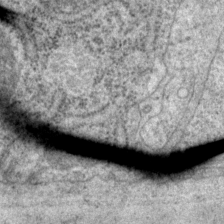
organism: P. pacificus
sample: Pharynx